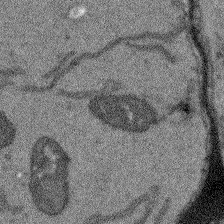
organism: Arabidopsis thaliana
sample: Root tip